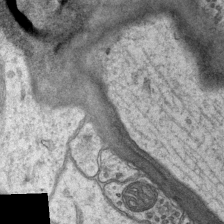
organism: Mouse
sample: CA1 Hippocampus